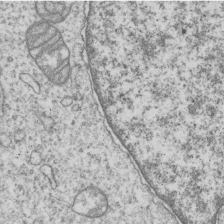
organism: Human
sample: MDA-MB-231 cells